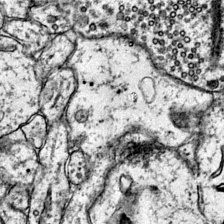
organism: Mouse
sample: Primary visual cortex